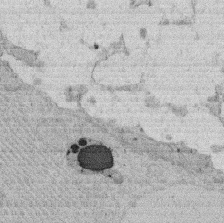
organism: Rat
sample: Salivary granule